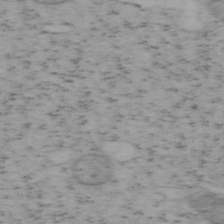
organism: Mouse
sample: OT-I killer T cells with ID8 ovarian cancer cells